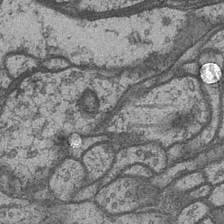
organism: Drosophila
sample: Optic medulla